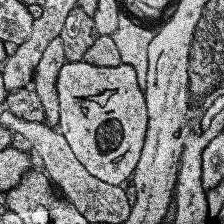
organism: Human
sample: Temporal Lobe